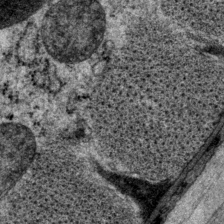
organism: P. pacificus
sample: Pharynx